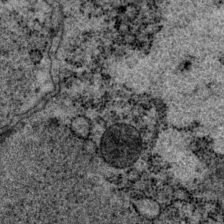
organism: P. pacificus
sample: Pharynx